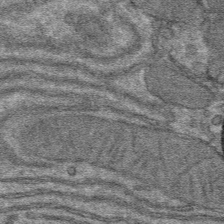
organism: Mouse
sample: Mouse hepatocytes